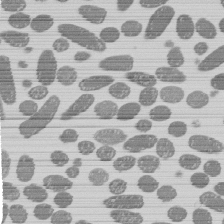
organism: E. coli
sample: Bacterial nucleoid